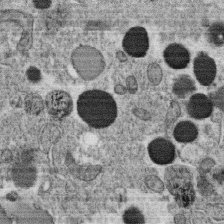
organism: C. elegans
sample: C. elegans oocyte; sperm cells